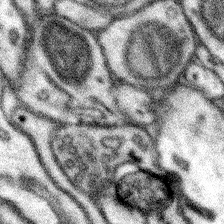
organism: Mouse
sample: Somatosensory cortex neuropil